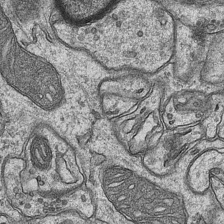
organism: Mouse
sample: CA1 Hippocampus